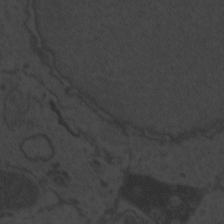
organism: Zebrafish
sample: Macrophage infected with Toxoplasma gondii